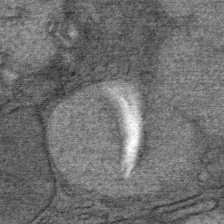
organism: Mouse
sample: Mouse Salivary gland